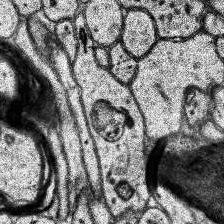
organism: Human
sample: Temporal Lobe